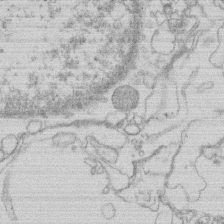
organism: Human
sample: Macrophage cells